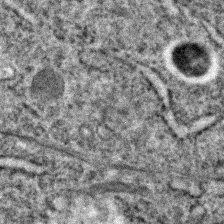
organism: C. elegans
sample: C. elegans embryo